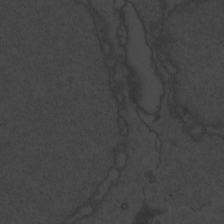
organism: Zebrafish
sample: Macrophage infected with Toxoplasma gondii